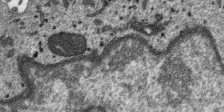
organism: Human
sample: Lung epithelial cells infected with SARS-CoV-2